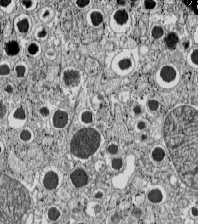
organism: C57BL Mouse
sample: Pancreatic islet